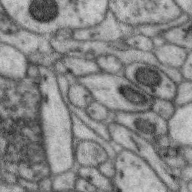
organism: Zebra finch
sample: Brain